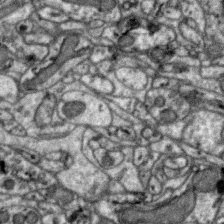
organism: Zebra finch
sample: Brain